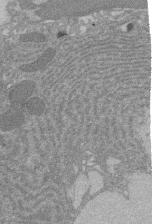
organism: Rat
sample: Salivary granule